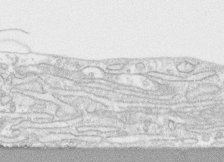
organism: Human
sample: CRL-1474